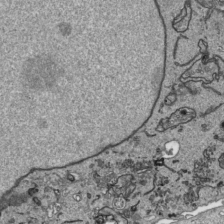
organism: Human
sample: Mitochondria in HCT116 cells